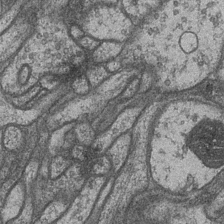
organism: Drosophila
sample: Optic medulla